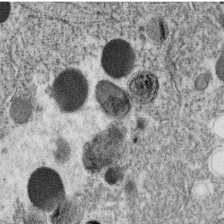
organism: C. elegans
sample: C. elegans oocyte; sperm cells